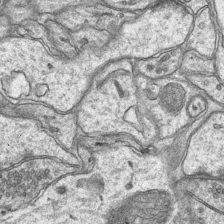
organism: Mouse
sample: CA1 Hippocampus